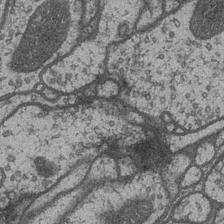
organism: Drosophila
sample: Optic medulla